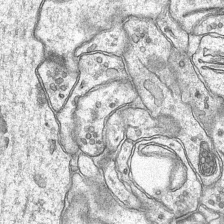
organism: Mouse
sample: CA1 Hippocampus